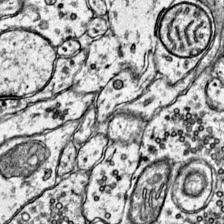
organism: Mouse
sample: Primary visual cortex